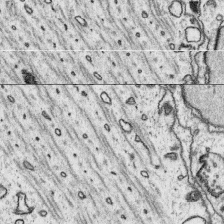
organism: Platynereis dumerilii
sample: Parapodia